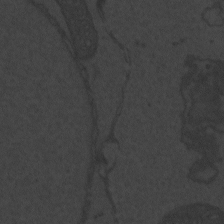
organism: Zebrafish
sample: Macrophage infected with Toxoplasma gondii